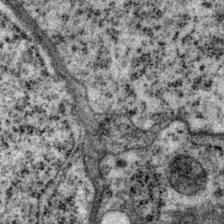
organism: P. pacificus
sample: Pharynx